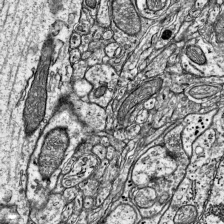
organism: Mouse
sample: Visual Cortex